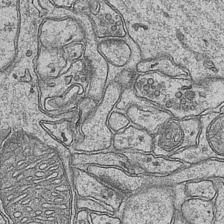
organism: Mouse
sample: CA1 Hippocampus